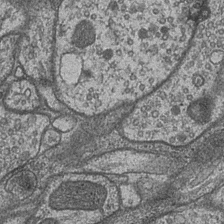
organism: Drosophila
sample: Optic medulla